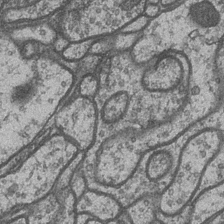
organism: Drosophila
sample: Optic medulla